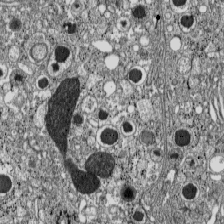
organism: C57BL Mouse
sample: Pancreatic islet